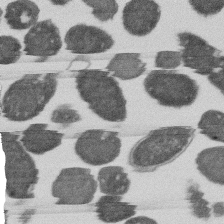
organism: E. coli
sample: Bacterial nucleoid